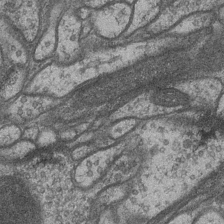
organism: Drosophila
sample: Optic medulla